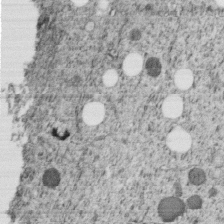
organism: C. elegans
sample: C. elegans embryo early stage